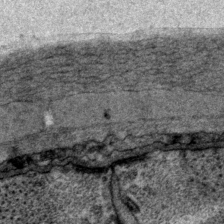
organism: P. pacificus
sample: Pharynx